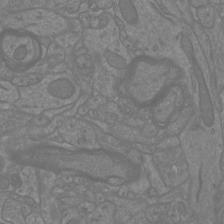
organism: Mouse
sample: Cortical neurons